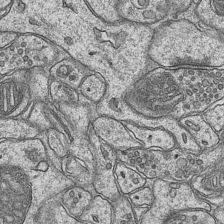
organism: Mouse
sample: CA1 Hippocampus